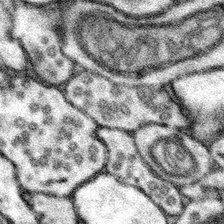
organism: Mouse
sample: Somatosensory cortex neuropil